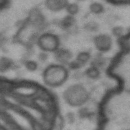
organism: Drosophila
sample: Brain